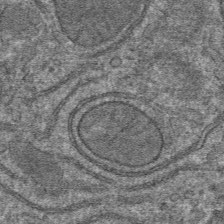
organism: Mouse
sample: Mouse hepatocytes